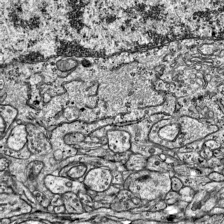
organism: Mouse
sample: Visual Cortex